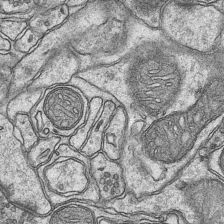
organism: Mouse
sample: CA1 Hippocampus